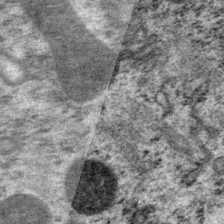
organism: P. pacificus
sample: Pharynx